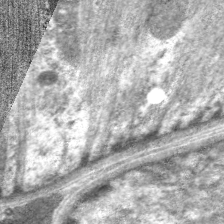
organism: C. elegans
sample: Pharynx